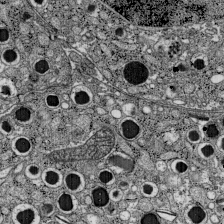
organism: C57BL Mouse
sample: Pancreatic islet